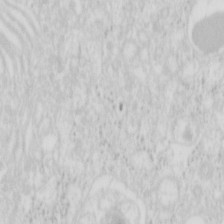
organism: Mouse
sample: Pancreas